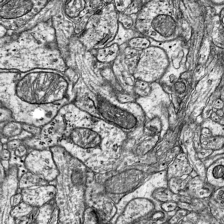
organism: Mouse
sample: Visual Cortex